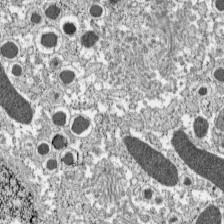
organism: C57BL Mouse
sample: Pancreatic islet